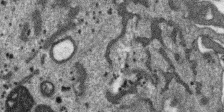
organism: Human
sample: Lung epithelial cells infected with SARS-CoV-2